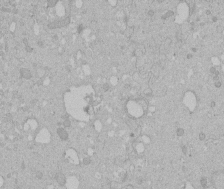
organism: Human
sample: Melanocyte Keratinocyte synapse skin construct